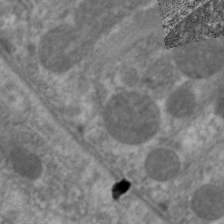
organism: C. elegans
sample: Pharynx